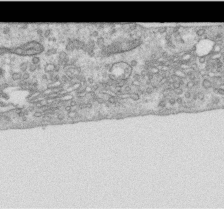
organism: Human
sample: Centriole in RPE cells